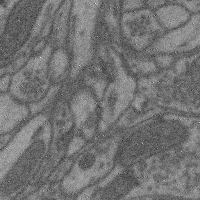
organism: Mouse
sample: Cerebral cortex